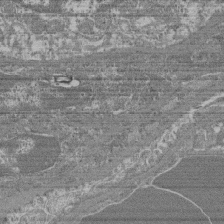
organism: Mouse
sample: Glomerulus